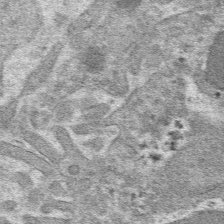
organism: Mouse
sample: Mouse hepatocytes